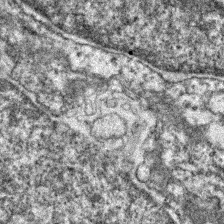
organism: Zebrafish